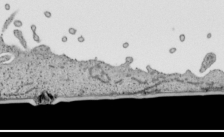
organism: Human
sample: Mitochondria in HCT116 cells